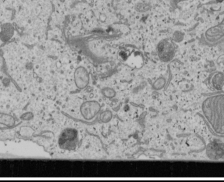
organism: Human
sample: Mitochondria in U2OS cells